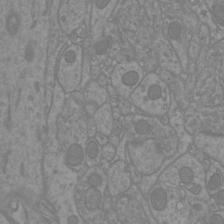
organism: Mouse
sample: Cortical neurons